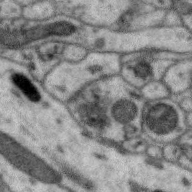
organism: Zebra finch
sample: Brain